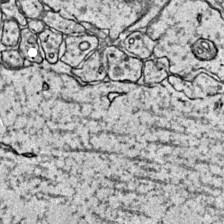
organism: Mouse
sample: Primary visual cortex